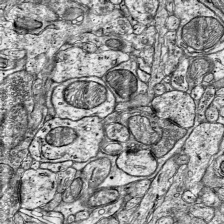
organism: Mouse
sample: Visual Cortex